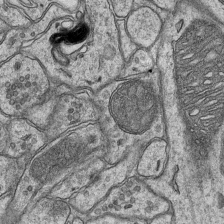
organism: Mouse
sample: CA1 Hippocampus